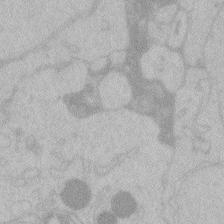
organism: Zebrafish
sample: Macrophage infected with Toxoplasma gondii